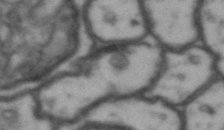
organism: Drosophila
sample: Brain